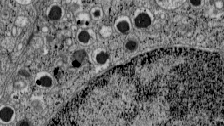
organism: C57BL Mouse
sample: Pancreatic islet